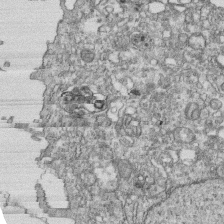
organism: Human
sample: HeLa cell HIV synapse